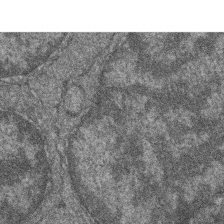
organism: Zebrafish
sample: Cilia; retinal pigment epithelium